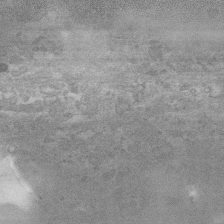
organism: Human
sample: Fibroblast cells